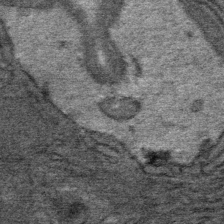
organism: Mouse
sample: Mouse Salivary gland